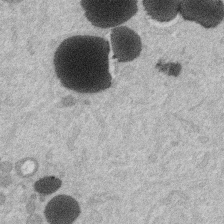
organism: Mouse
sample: Dividing mouse embryo 1 cell stage